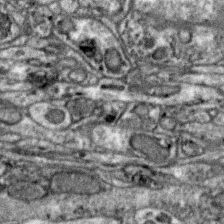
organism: Zebra finch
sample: Brain